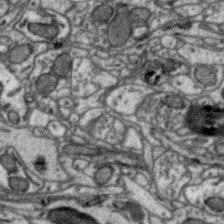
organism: Zebra finch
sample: Brain